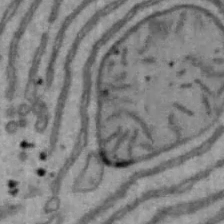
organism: Mouse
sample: Liver